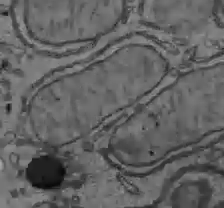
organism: C57BL Mouse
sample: Liver